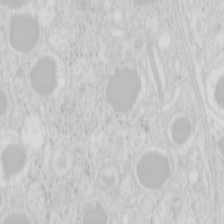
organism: Mouse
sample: Pancreas